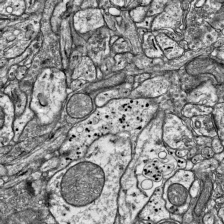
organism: Mouse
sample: Visual Cortex